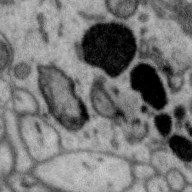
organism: Zebra finch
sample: Brain